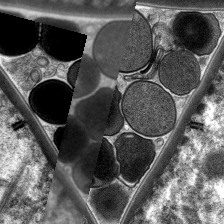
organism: C. elegans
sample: Pharynx